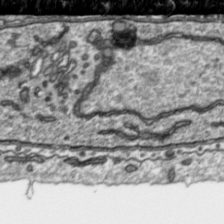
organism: Toxoplasma gondii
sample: Parasites in a vacuole inside a host cell